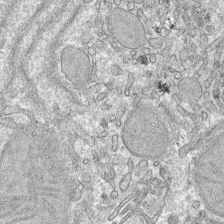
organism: Mouse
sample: Mouse hepatocytes